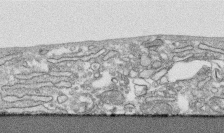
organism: Human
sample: CRL-1474